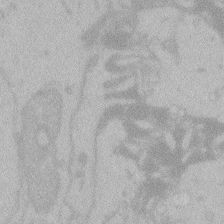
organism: Zebrafish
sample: Macrophage infected with Toxoplasma gondii